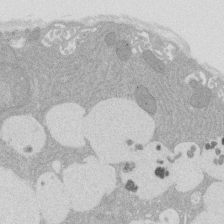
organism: Rat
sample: Salivary granule